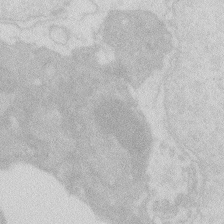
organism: Zebrafish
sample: Macrophage